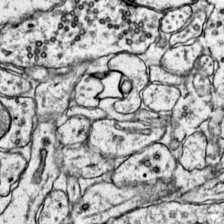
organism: Mouse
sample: Primary visual cortex